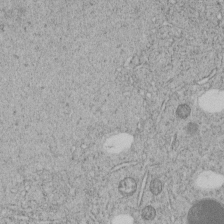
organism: C. elegans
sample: C. elegans embryo early stage